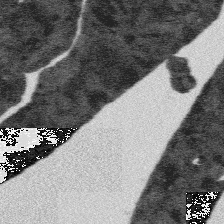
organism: Platynereis dumerilii